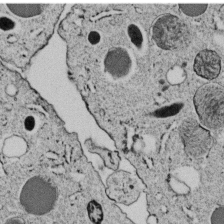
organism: C. elegans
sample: C. elegans embryo early stage